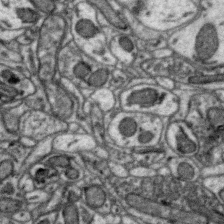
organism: Zebra finch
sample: Brain